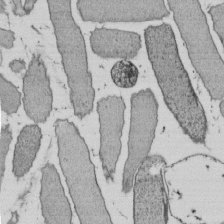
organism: E. coli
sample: Bacterial nucleoid